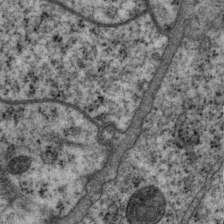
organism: P. pacificus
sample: Pharynx